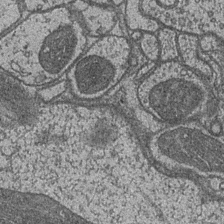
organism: Drosophila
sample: Optic medulla